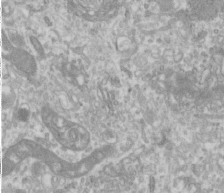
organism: Human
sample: Cilia; basal body in RPE cells